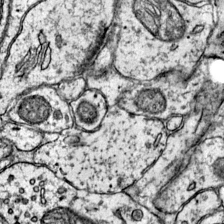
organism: Mouse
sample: Primary visual cortex